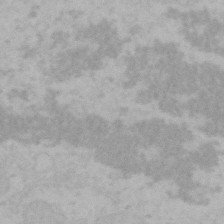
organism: Mouse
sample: Choroid plexus